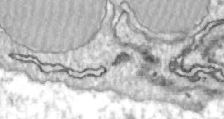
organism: Zebrafish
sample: Actinotrichia fibers